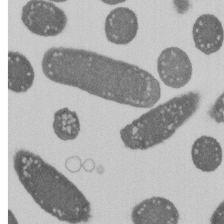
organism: E. coli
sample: Bacterial nucleoid